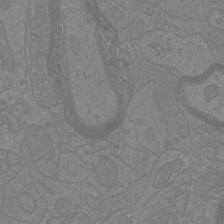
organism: Mouse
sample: Cortical neurons